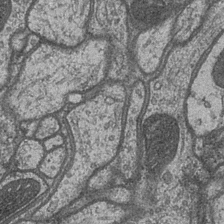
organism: Drosophila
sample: Optic medulla